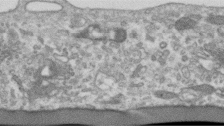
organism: Human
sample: Centriole in RPE cells